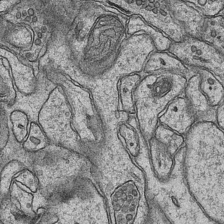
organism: Mouse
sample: CA1 Hippocampus